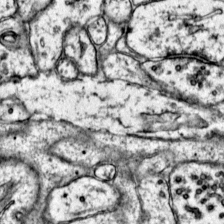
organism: Mouse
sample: Primary visual cortex